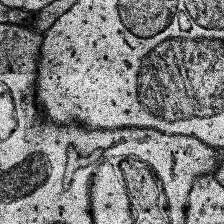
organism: Human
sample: Temporal Lobe